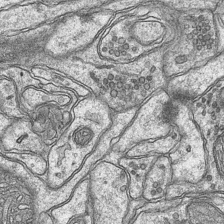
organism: Mouse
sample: CA1 Hippocampus